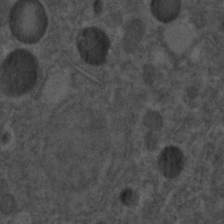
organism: C. elegans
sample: C. elegans embryo